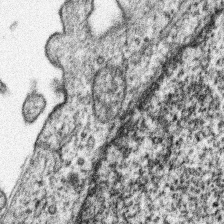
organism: Human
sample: HeLa cells